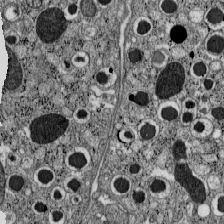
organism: C57BL Mouse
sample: Pancreatic islet